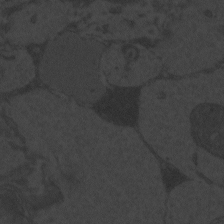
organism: Zebrafish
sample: Macrophage infected with Toxoplasma gondii